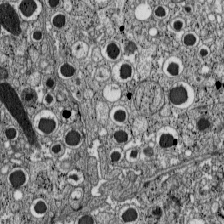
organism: C57BL Mouse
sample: Pancreatic islet